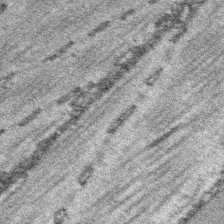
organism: Platynereis dumerilii